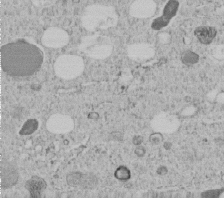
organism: C. elegans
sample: C. elegans embryo early stage